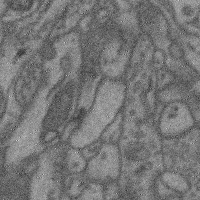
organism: Mouse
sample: Cerebral cortex